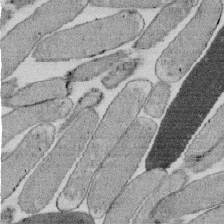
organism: E. coli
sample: Bacterial nucleoid